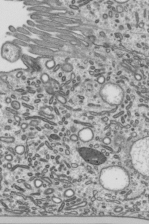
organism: Mouse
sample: Mouse epididymis efferent ductule cilia